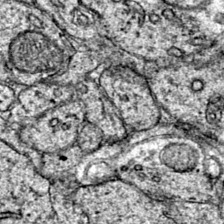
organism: Mouse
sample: Primary visual cortex